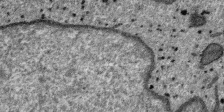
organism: Human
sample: Lung epithelial cells, uninfected (mock) control